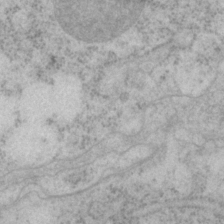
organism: P. pacificus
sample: Pharynx